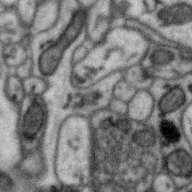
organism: Zebra finch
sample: Brain